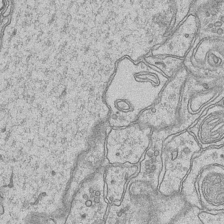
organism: Mouse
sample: CA1 Hippocampus